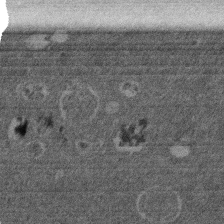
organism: Mouse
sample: Dividing mouse embryo 1 cell stage